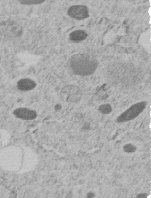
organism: C. elegans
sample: C. elegans embryo early stage